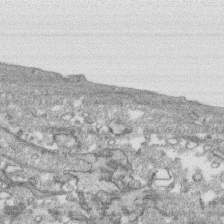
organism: Human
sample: CRL-1474